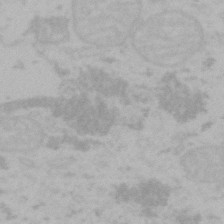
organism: Mouse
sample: Choroid plexus